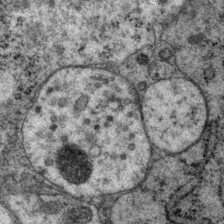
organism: P. pacificus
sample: Pharynx